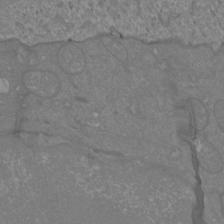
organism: Mouse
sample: Cortical neurons